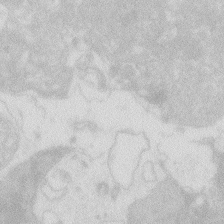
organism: Zebrafish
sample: Macrophage